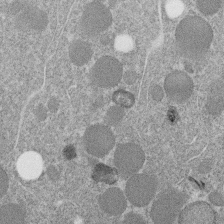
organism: C. elegans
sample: C. elegans embryo early stage